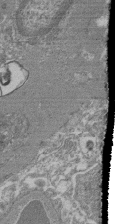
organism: Mouse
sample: Glomerulus